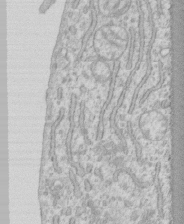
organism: Human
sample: CRL-1474